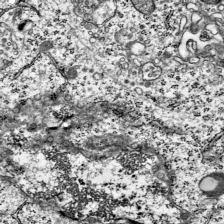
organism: Mouse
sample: Visual Cortex